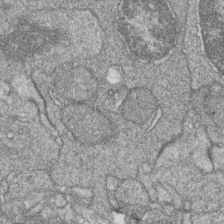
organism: Zebrafish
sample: Cilia; retinal pigment epithelium